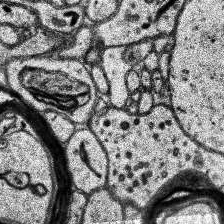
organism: Human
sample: Temporal Lobe